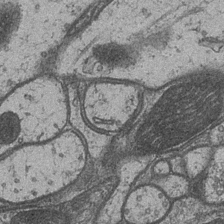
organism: Drosophila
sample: Optic medulla